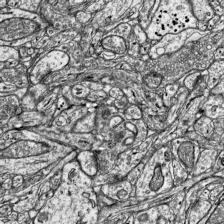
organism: Mouse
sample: Visual Cortex